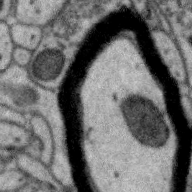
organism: Zebra finch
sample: Brain